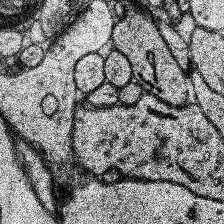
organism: Human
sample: Temporal Lobe